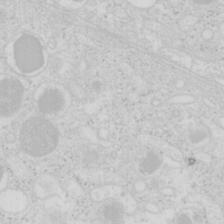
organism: Mouse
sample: Pancreas